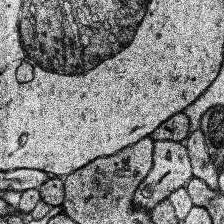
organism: Human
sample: Temporal Lobe